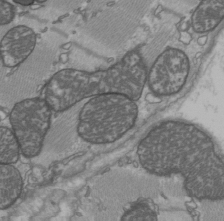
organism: C57BL Mouse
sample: Heart